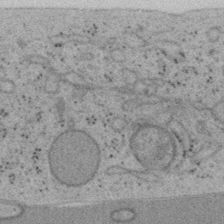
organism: Human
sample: HeLa cells